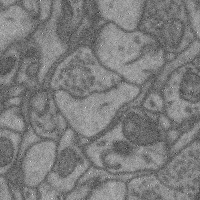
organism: Mouse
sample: Cerebral cortex